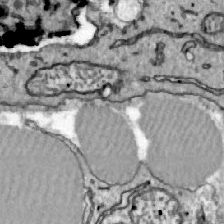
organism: Zebrafish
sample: Actinotrichia fibers